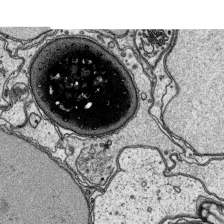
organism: Platynereis dumerilii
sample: Parapodia